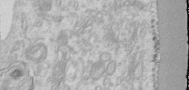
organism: Human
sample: Centriole in RPE cells